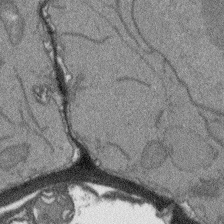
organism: Arabidopsis thaliana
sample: Root tip